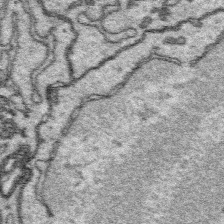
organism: Platynereis dumerilii